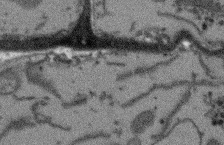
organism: Arabidopsis thaliana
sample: Root tip